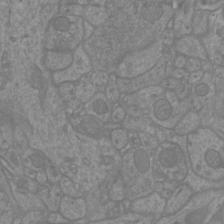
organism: Mouse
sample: Cortical neurons